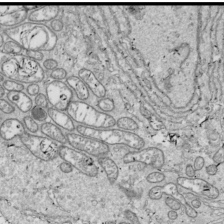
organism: Drosophila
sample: Cell division; meiosis; drosophila spermatocytes